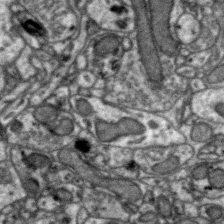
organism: Zebra finch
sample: Brain